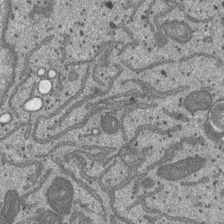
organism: Human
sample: Lung epithelial cells infected with SARS-CoV-2